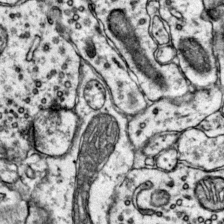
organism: Mouse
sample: Primary visual cortex